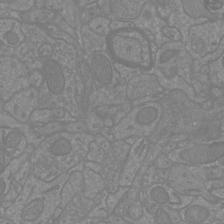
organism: Mouse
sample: Cortical neurons